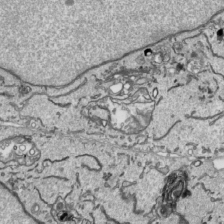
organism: Human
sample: Mitochondria in HCT116 cells